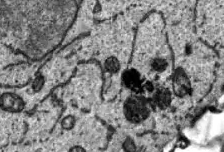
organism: Human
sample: HeLa cells